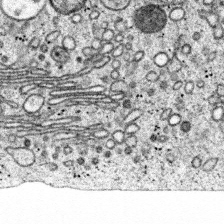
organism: Human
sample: HeLa cells